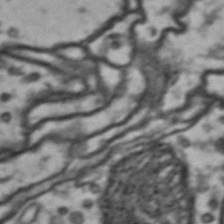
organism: Drosophila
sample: Brain